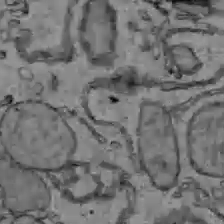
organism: C57BL Mouse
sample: Liver